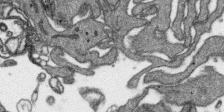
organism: Human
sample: Lung epithelial cells, uninfected (mock) control